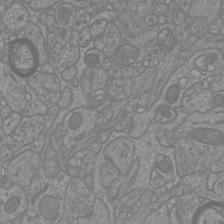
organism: Mouse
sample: Cortical neurons